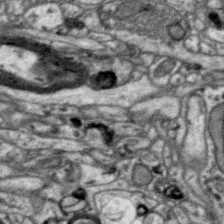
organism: Zebra finch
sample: Brain